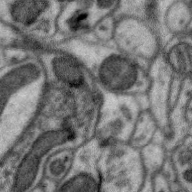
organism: Zebra finch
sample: Brain